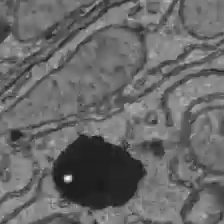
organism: C57BL Mouse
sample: Liver